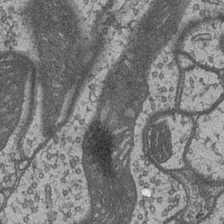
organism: Drosophila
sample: Optic medulla